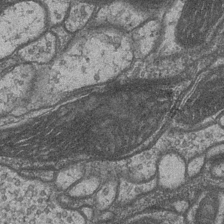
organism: Drosophila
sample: Optic medulla